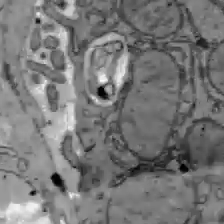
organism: C57BL Mouse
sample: Liver